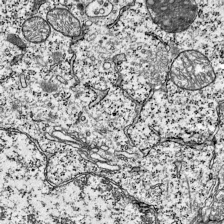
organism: Mouse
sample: Visual Cortex